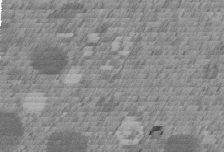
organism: C. elegans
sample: C. elegans embryo early stage